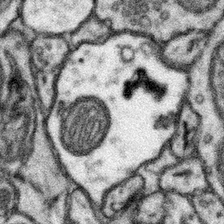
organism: Mouse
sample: Somatosensory cortex neuropil